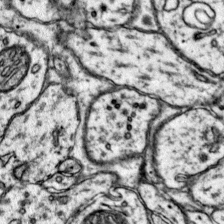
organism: Mouse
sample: Primary visual cortex